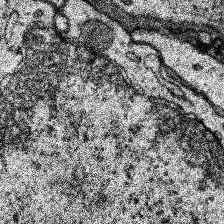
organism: Human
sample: Temporal Lobe